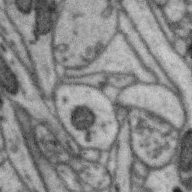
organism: Zebra finch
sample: Brain